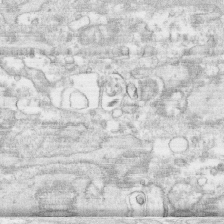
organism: Human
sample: CRL-1474